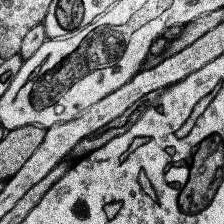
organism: Human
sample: Temporal Lobe